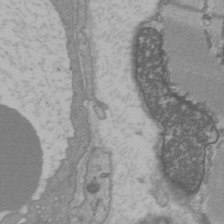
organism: C57BL Mouse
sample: Heart